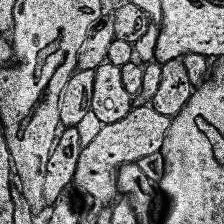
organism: Human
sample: Temporal Lobe